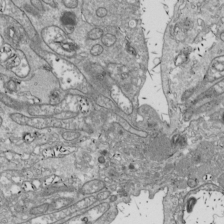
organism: Drosophila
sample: Cell division; meiosis; drosophila spermatocytes